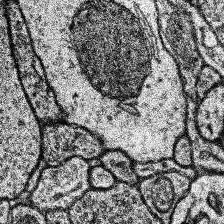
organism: Human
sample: Temporal Lobe